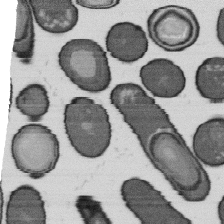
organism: B. subtilis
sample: Bacterial spore